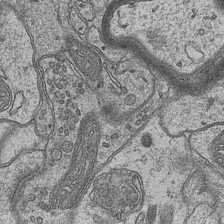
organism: Mouse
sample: CA1 Hippocampus